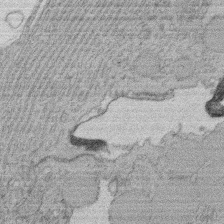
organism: Rat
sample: Salivary granule